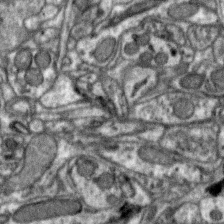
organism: Zebra finch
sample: Brain